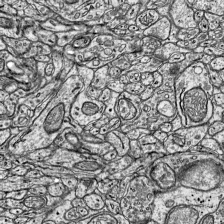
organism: Mouse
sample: Visual Cortex